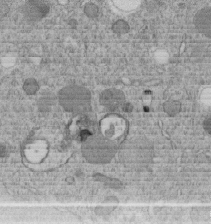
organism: C. elegans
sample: C. elegans embryo early stage